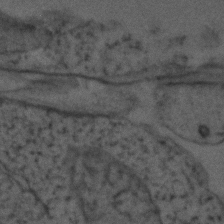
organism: Zebrafish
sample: Zebrafish embryo